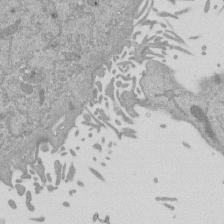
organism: Mouse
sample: ED-1 cell nuclei; centrioles